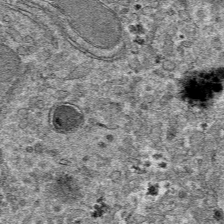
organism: Mouse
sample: Mouse hepatocytes